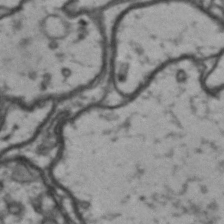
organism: Drosophila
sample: Brain